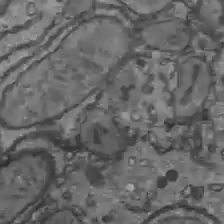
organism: C57BL Mouse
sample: Liver